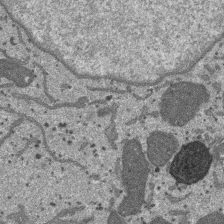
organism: Human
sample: Lung epithelial cells infected with SARS-CoV-2